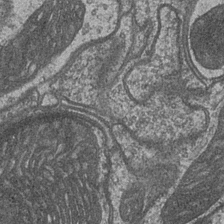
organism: Drosophila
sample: Optic medulla